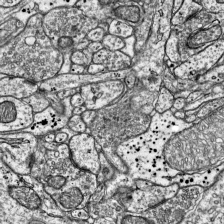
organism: Mouse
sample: Visual Cortex